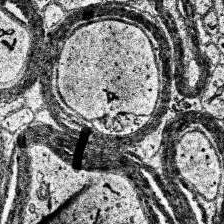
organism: Human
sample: Temporal Lobe